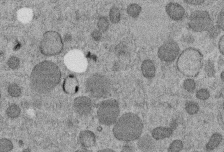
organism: C. elegans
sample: C. elegans embryo early stage